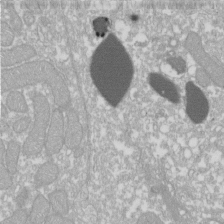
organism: Xenopus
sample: Cilia; centrioles in frog embryo cells